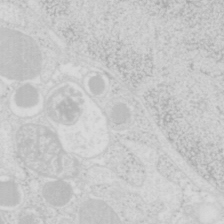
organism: Mouse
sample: Pancreas